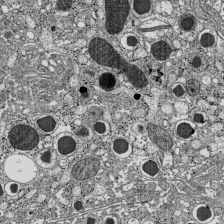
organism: C57BL Mouse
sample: Pancreatic islet